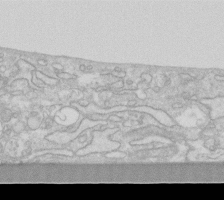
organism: Human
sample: Fibroblast cells